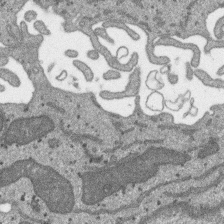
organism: Human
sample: Lung epithelial cells infected with SARS-CoV-2